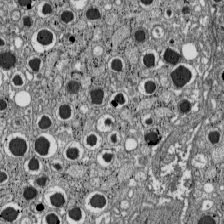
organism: C57BL Mouse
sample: Pancreatic islet